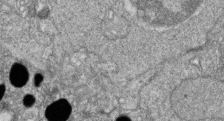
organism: Zebrafish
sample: Cilia; retinal pigment epithelium